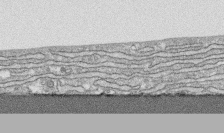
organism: Human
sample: CRL-1474